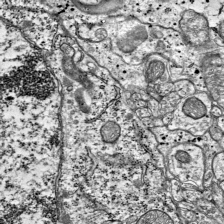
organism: Mouse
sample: Visual Cortex